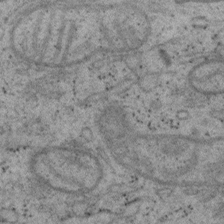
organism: Human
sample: HeLa cells